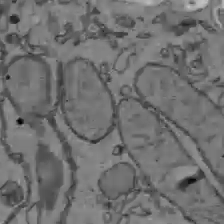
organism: C57BL Mouse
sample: Liver